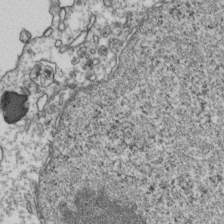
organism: Human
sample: Activated Jurkat CD4+ T cells